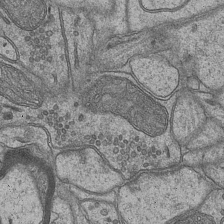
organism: Mouse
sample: CA1 Hippocampus